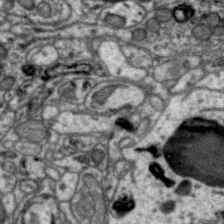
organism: Zebra finch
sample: Brain